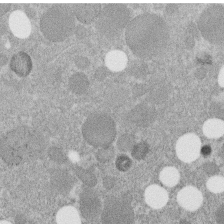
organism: C. elegans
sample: C. elegans embryo early stage